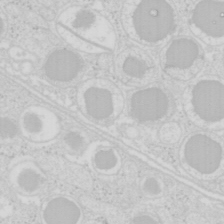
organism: Mouse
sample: Pancreas